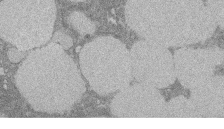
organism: Rat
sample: Salivary granule